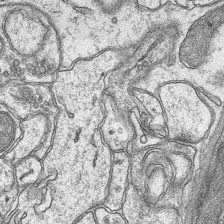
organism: Mouse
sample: CA1 Hippocampus